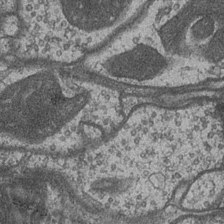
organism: Drosophila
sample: Optic medulla